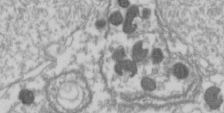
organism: Drosophila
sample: Cell division; meiosis; drosophila spermatocytes